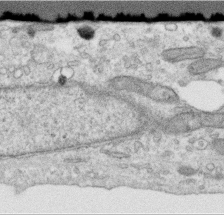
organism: Human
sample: Centriole in RPE cells